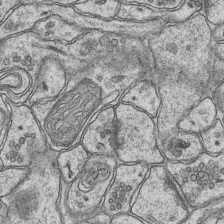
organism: Mouse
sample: CA1 Hippocampus